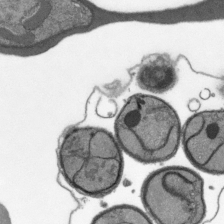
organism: Plasmodium falciparum